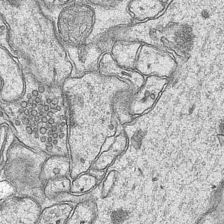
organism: Mouse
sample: CA1 Hippocampus